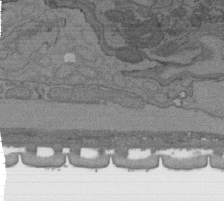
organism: C. elegans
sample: AFD neurons C. elegans